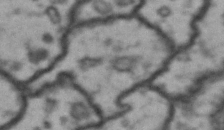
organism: Drosophila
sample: Brain